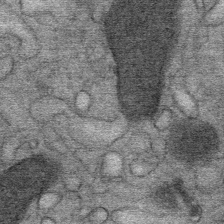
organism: Mouse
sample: Mouse Salivary gland